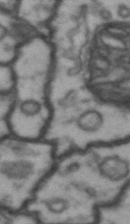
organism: Drosophila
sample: Brain